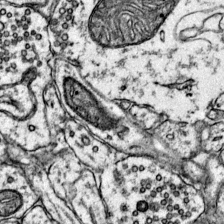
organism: Mouse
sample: Primary visual cortex